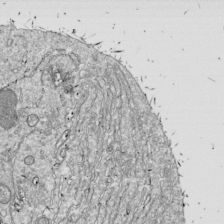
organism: Drosophila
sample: Cell division; meiosis; drosophila spermatocytes